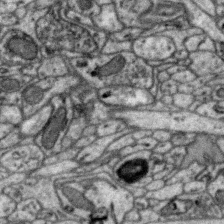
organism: Zebra finch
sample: Brain